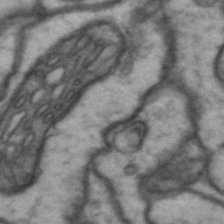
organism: Drosophila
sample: Brain